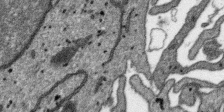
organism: Human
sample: Lung epithelial cells, uninfected (mock) control